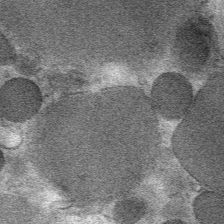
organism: Mouse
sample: Mouse Salivary gland